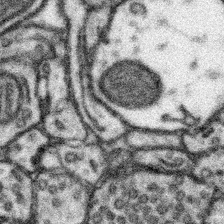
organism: Mouse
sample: Somatosensory cortex neuropil